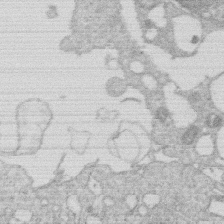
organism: Human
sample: Macrophage cells